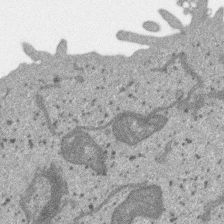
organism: Human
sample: Lung epithelial cells infected with SARS-CoV-2